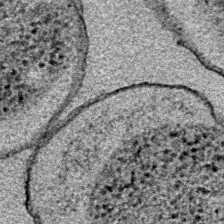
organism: E. coli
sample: E. Coli Bacteria